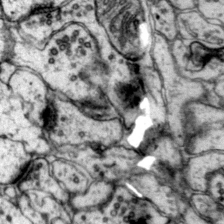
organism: Mouse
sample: Primary visual cortex